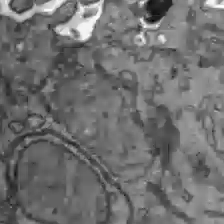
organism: C57BL Mouse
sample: Liver